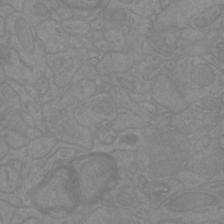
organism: Mouse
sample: Cortical neurons